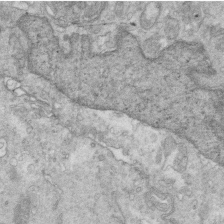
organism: Mouse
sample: Multiciliated cells